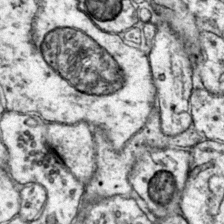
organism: Mouse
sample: Primary visual cortex